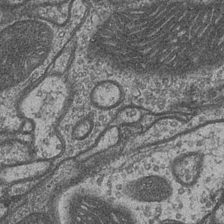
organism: Drosophila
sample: Optic medulla